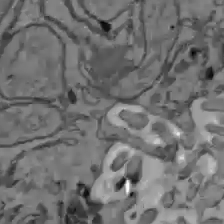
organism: C57BL Mouse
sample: Liver